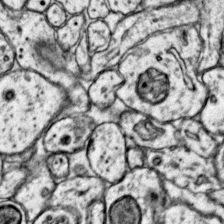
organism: Mouse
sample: Primary visual cortex